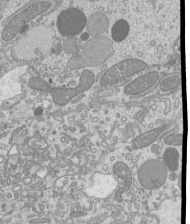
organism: Mouse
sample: Cilia; mouse epididymis